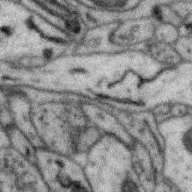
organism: Zebra finch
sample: Brain